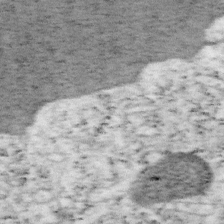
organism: Mouse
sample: OT-I killer T cells with ID8 ovarian cancer cells